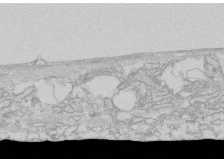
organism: Human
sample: CRL-1474